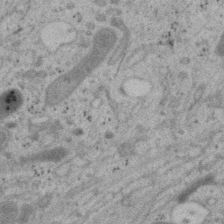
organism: Human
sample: HeLa cells